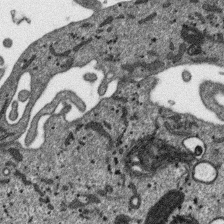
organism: Human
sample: Lung epithelial cells infected with SARS-CoV-2